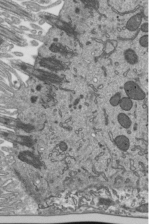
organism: Mouse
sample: Mouse epididymis efferent ductule cilia